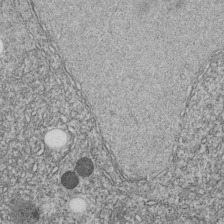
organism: C. elegans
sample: C. elegans embryo early stage